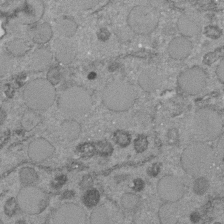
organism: C. elegans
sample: C. elegans embryo early stage